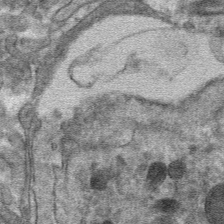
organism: Mouse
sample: Mouse hepatocytes